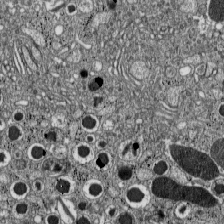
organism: C57BL Mouse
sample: Pancreatic islet